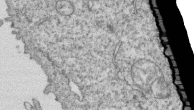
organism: Human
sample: HeLa cell HIV synapse